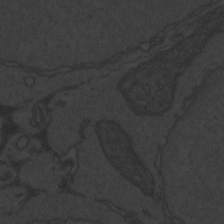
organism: Zebrafish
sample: Macrophage infected with Toxoplasma gondii